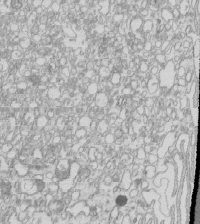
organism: Mouse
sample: Macrophages